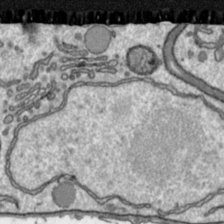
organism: Toxoplasma gondii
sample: Parasites in a vacuole inside a host cell